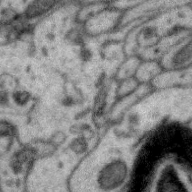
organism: Zebra finch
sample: Brain